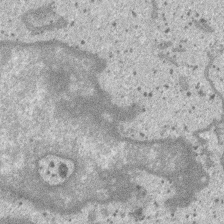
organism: Human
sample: Lung epithelial cells infected with SARS-CoV-2